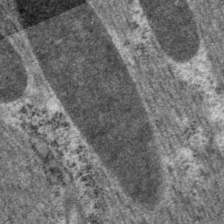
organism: P. pacificus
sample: Pharynx